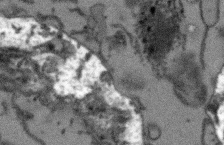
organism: Arabidopsis thaliana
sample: Root tip